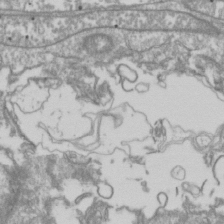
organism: Drosophila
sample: Cell division; meiosis; drosophila spermatocytes